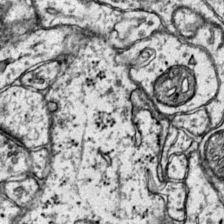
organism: Mouse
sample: Primary visual cortex